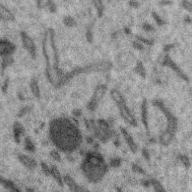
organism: Zebra finch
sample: Brain